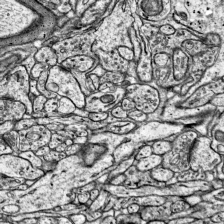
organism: Mouse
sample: Visual Cortex